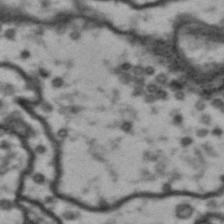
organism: Drosophila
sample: Brain